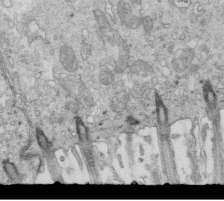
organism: Mouse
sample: Multiciliated cells